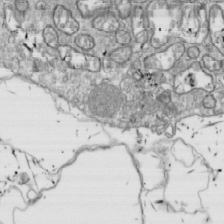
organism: Drosophila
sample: Cell division; meiosis; drosophila spermatocytes